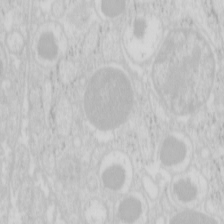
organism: Mouse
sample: Pancreas